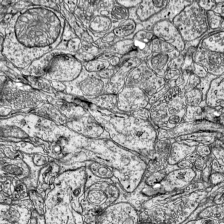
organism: Mouse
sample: Visual Cortex